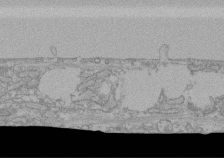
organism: Human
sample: CRL-1474